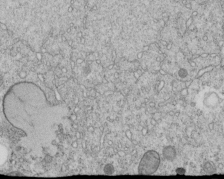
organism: C. elegans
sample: C. elegans embryo early stage